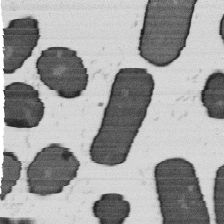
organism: B. subtilis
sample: Bacterial spore